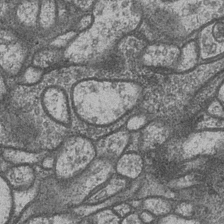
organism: Drosophila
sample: Optic medulla